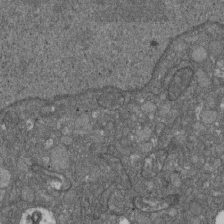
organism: Drosophila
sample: Nephrocyte